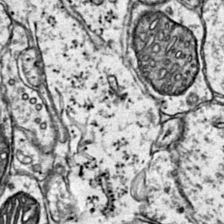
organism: Mouse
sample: Primary visual cortex